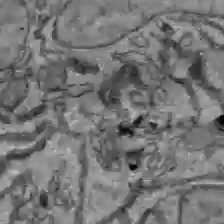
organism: C57BL Mouse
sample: Liver